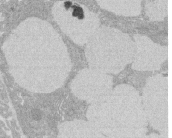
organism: Rat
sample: Salivary granule